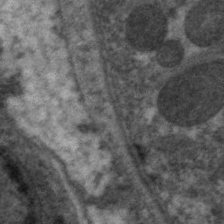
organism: C. elegans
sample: Pharynx